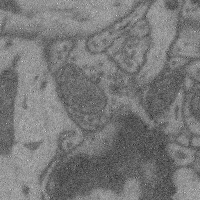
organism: Mouse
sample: Cerebral cortex